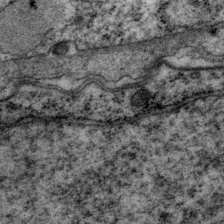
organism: P. pacificus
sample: Pharynx